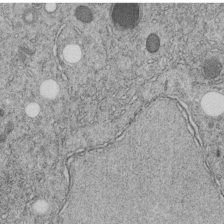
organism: C. elegans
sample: C. elegans embryo early stage